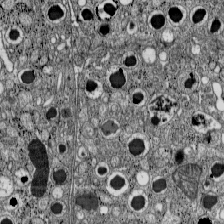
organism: C57BL Mouse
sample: Pancreatic islet